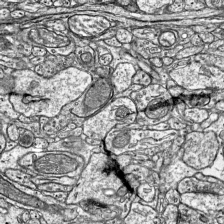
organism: Mouse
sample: Visual Cortex